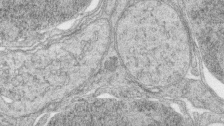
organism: Zebrafish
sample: synaptic ribbons in rod cells and cone cells